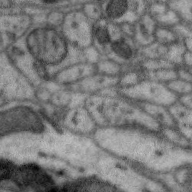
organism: Zebra finch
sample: Brain